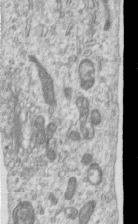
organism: Human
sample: Centriole in RPE cells